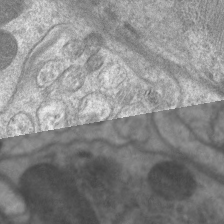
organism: C. elegans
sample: Pharynx